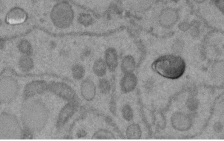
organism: C. elegans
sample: C. elegans embryo early stage